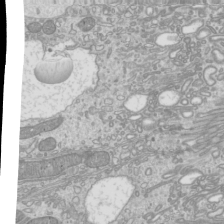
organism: Mouse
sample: Cilia; mouse epididymis